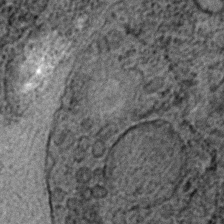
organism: C. elegans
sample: C. elegans embryo